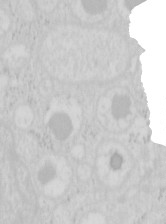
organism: Mouse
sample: Pancreas